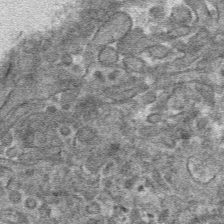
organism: Mouse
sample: Mouse hepatocytes